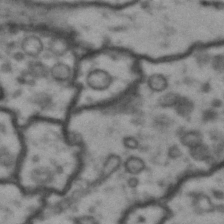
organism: Drosophila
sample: Brain